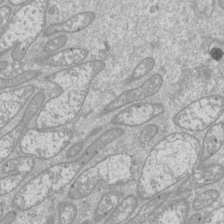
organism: Drosophila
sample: Cell division; meiosis; drosophila spermatocytes